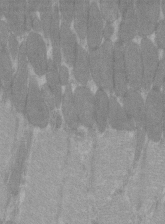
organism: C57BL Mouse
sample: Tibialis anterior muscle cell